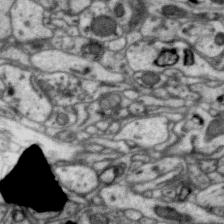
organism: Zebra finch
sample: Brain